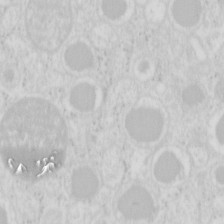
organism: Mouse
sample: Pancreas